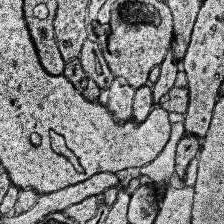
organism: Human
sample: Temporal Lobe